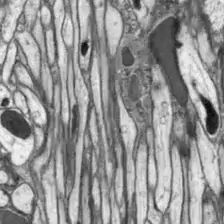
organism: Drosophila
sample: Optic lobe